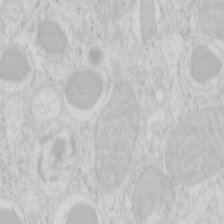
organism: Mouse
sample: Pancreas